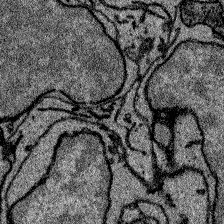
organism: Zebrafish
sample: Larval olfactory bulb